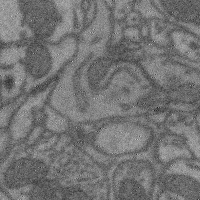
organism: Mouse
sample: Cerebral cortex